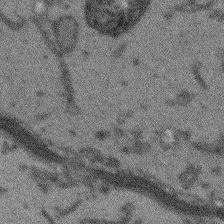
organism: Arabidopsis thaliana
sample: Root tip